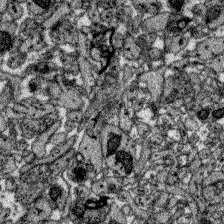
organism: Zebrafish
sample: Larval olfactory bulb